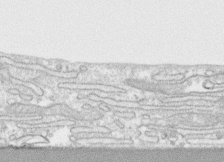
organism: Human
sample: CRL-1474